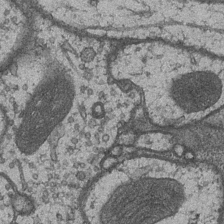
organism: Drosophila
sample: Optic medulla